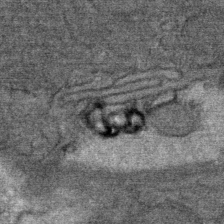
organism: Mouse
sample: Mouse Salivary gland